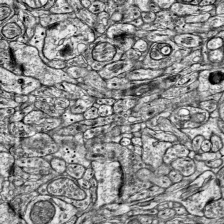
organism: Mouse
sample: Visual Cortex